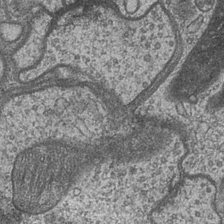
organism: Drosophila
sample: Optic medulla